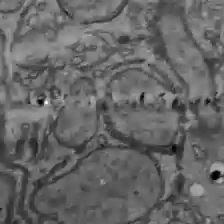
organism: C57BL Mouse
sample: Liver